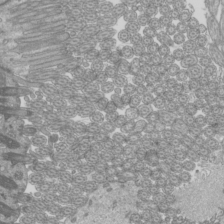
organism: Mouse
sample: Cilia; mouse epididymis